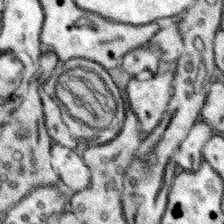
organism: Mouse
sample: Somatosensory cortex neuropil